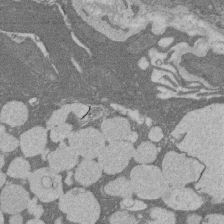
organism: Rat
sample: Salivary granule